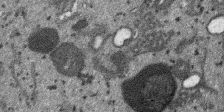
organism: Human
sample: Lung epithelial cells infected with SARS-CoV-2